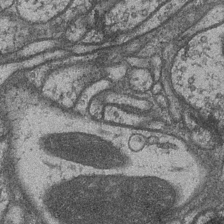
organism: Drosophila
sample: Optic medulla